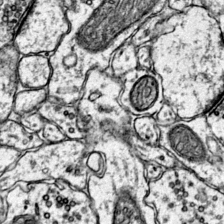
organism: Mouse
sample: Primary visual cortex